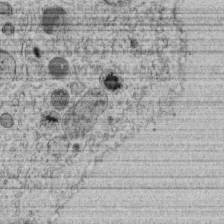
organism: C. elegans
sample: C. elegans embryo early stage